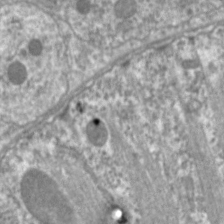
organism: C. elegans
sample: Pharynx